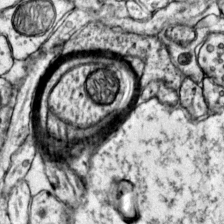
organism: Mouse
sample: Primary visual cortex